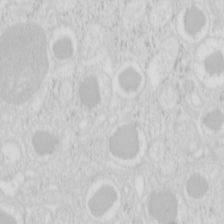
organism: Mouse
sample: Pancreas